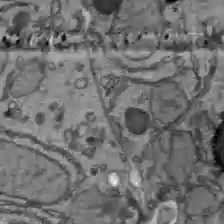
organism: C57BL Mouse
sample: Liver